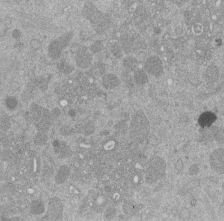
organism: Mouse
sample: Dividing mouse embryo 1 cell stage